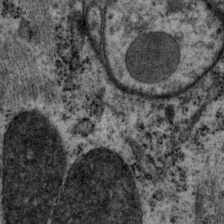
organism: P. pacificus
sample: Pharynx